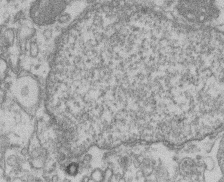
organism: Mouse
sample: T cell stromal cell synapse